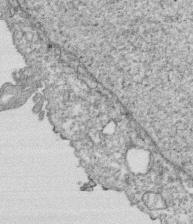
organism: Human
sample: HeLa cell HIV synapse